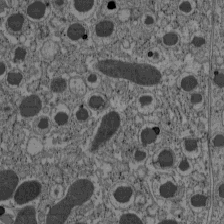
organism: C57BL Mouse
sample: Pancreatic islet